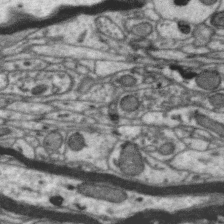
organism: Zebra finch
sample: Brain